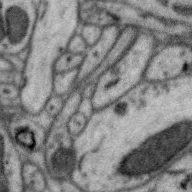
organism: Zebra finch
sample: Brain